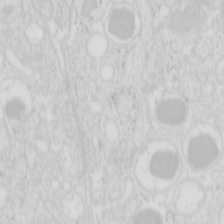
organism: Mouse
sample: Pancreas